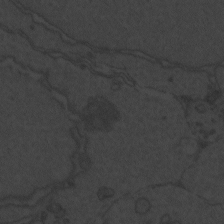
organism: Zebrafish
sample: Macrophage infected with Toxoplasma gondii